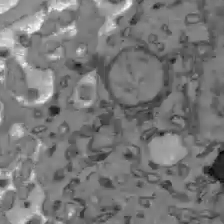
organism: C57BL Mouse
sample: Liver